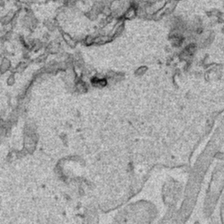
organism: Human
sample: Mitochondria in HCT116 cells